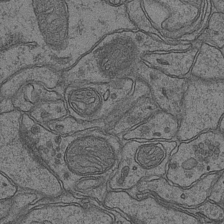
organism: Mouse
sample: CA1 Hippocampus